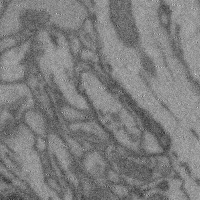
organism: Mouse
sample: Cerebral cortex